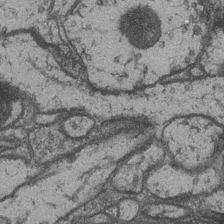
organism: Drosophila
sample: Optic medulla